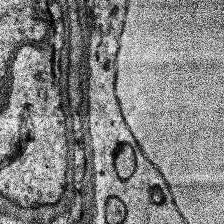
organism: Human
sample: Temporal Lobe